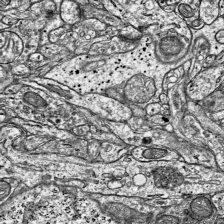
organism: Mouse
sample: Visual Cortex